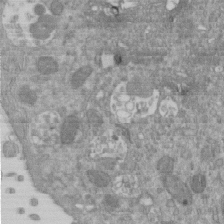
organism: Mouse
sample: ED-1 cell nuclei; centrioles